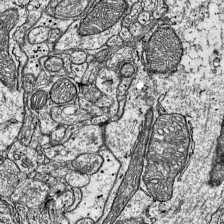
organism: Mouse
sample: Visual Cortex